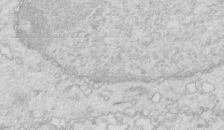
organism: Mouse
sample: Multiciliated cells